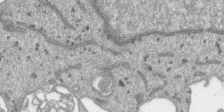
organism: Human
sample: Lung epithelial cells infected with SARS-CoV-2